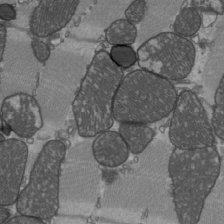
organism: C57BL Mouse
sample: Heart